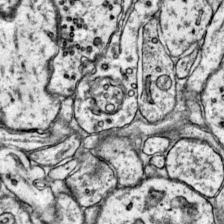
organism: Mouse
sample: Primary visual cortex